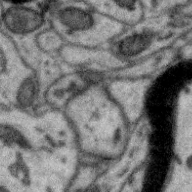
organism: Zebra finch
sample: Brain